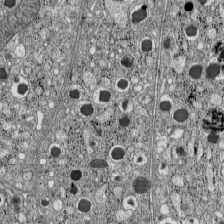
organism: C57BL Mouse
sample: Pancreatic islet